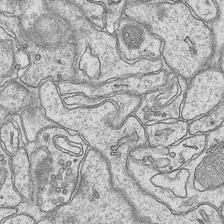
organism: Mouse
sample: CA1 Hippocampus